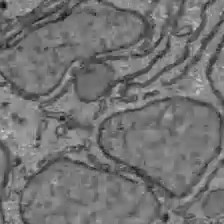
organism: C57BL Mouse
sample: Liver